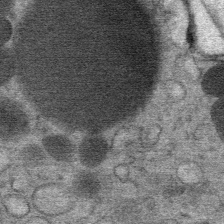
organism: Mouse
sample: Mouse Salivary gland